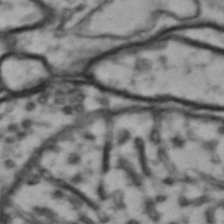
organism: Drosophila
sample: Brain